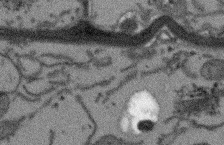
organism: Arabidopsis thaliana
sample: Root tip